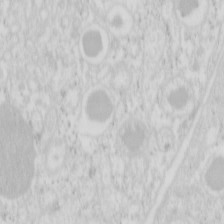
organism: Mouse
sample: Pancreas